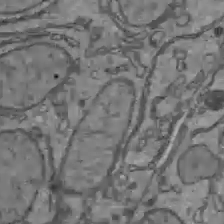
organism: C57BL Mouse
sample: Liver